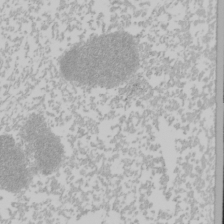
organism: Mouse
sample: Cancer cell death in ED-1 cells